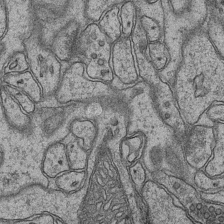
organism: Mouse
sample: CA1 Hippocampus